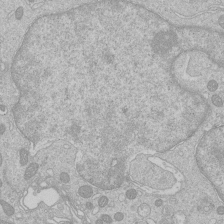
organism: Human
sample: Macrophage cells